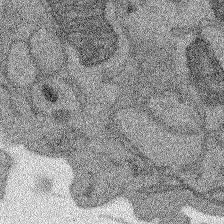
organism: Human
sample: HeLa cells